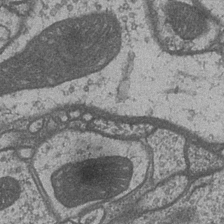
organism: Drosophila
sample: Optic medulla